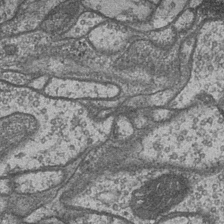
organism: Drosophila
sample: Optic medulla